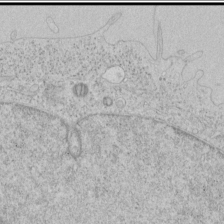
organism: Human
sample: Mitochondria in HCT116 cells